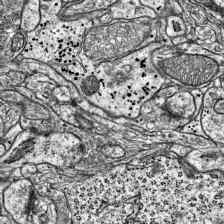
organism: Mouse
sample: Visual Cortex